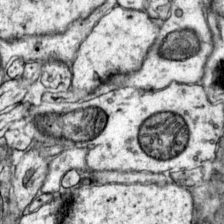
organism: Mouse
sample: Primary visual cortex